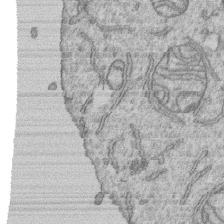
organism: Human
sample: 1205lu cells